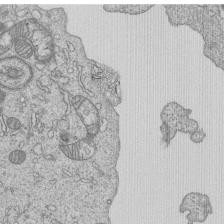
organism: Human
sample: MDA-MB-231 cells